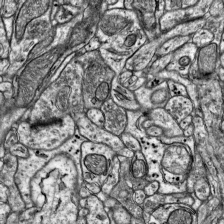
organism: Mouse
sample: Visual Cortex